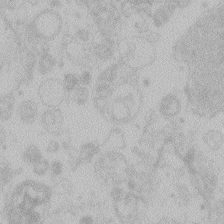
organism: Zebrafish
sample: Macrophage infected with Toxoplasma gondii